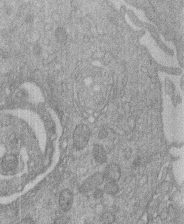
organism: Human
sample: Macrophage cells